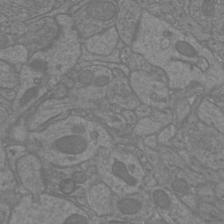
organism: Mouse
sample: Cortical neurons